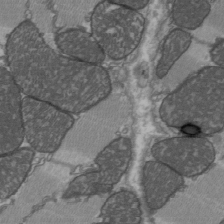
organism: C57BL Mouse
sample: Heart